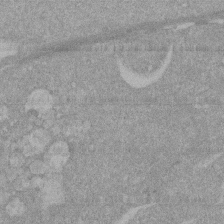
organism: Mouse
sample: ED-1 cell nuclei; centrioles